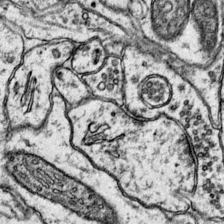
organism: Mouse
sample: Primary visual cortex